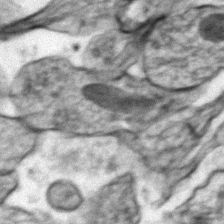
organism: Zebrafish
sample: Zebrafish embryo